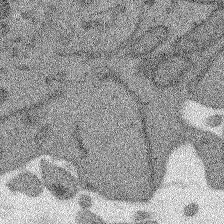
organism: Human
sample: HeLa cells